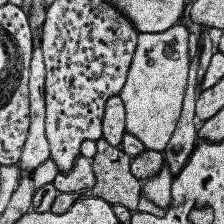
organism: Human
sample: Temporal Lobe